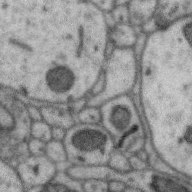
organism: Zebra finch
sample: Brain